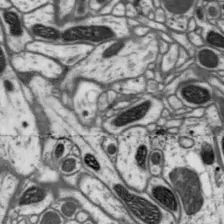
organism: Drosophila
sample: Protocerebral bridge